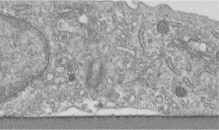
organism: Human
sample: Centriole in fibroblast cells